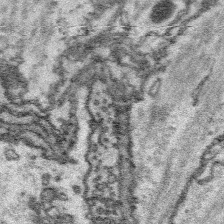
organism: Platynereis dumerilii